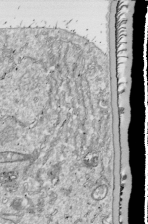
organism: Drosophila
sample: Cell division; meiosis; drosophila spermatocytes